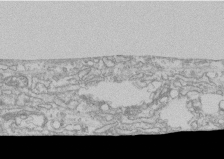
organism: Human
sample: CRL-1474